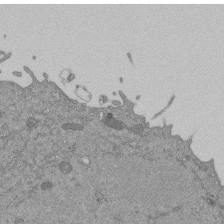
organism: Mouse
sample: ED-1 cell nuclei; centrioles